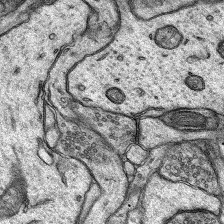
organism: Rat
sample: Hippocampus